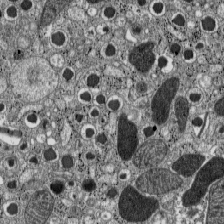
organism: C57BL Mouse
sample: Pancreatic islet